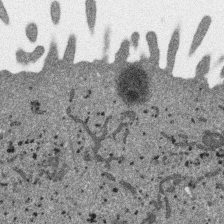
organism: Human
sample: Lung epithelial cells infected with SARS-CoV-2